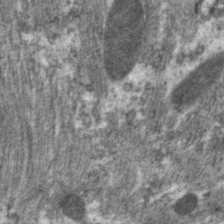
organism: C. elegans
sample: Pharynx